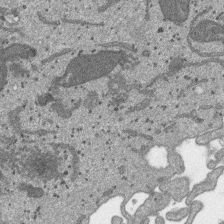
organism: Human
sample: Lung epithelial cells infected with SARS-CoV-2